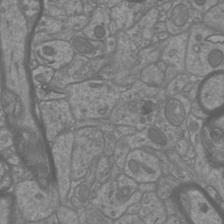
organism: Mouse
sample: Cortical neurons